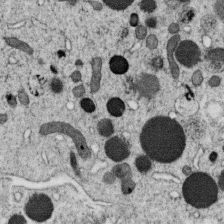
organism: C. elegans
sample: C. elegans oocyte; sperm cells